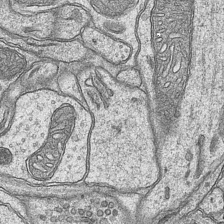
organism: Mouse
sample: CA1 Hippocampus